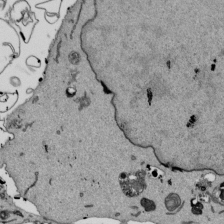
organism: Mouse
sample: ED-1 cell nuclei; centrioles